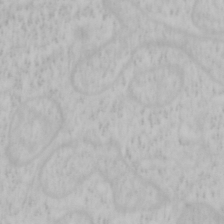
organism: Mouse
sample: OT-I killer T cells with ID8 ovarian cancer cells